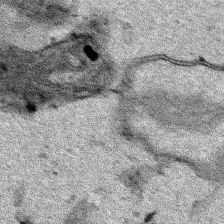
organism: Human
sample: Mitochondria in HCT116 cells